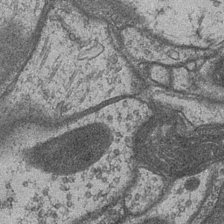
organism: Drosophila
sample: Optic medulla